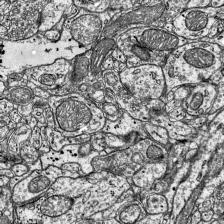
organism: Mouse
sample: Visual Cortex